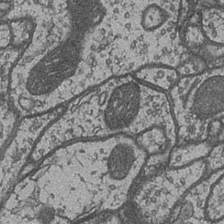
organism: Drosophila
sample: Optic medulla